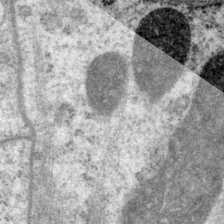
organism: P. pacificus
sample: Pharynx